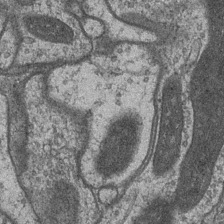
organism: Drosophila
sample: Optic medulla